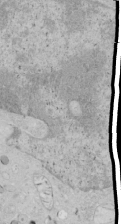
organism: Human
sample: Mitochondria in HCT116 cells